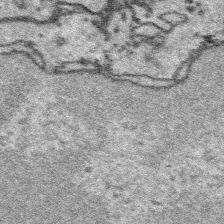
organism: Platynereis dumerilii